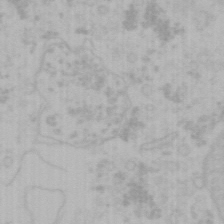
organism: Mouse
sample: Choroid plexus